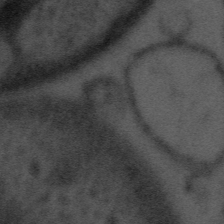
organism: Tuwongella immobilis